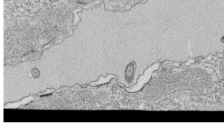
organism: Tetrahymena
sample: Cilia in tetrahymena